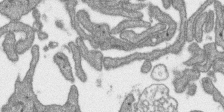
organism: Human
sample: Lung epithelial cells infected with SARS-CoV-2